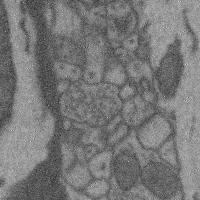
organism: Mouse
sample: Cerebral cortex